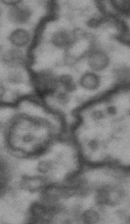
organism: Drosophila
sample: Brain